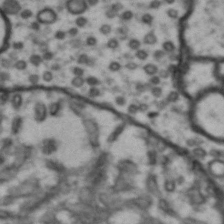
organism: Drosophila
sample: Brain